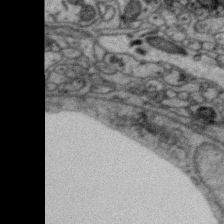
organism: Zebra finch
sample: Brain